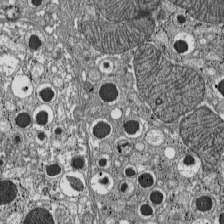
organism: C57BL Mouse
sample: Pancreatic islet